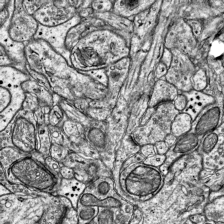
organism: Mouse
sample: Visual Cortex